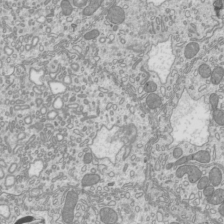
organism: Mouse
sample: Cilia; mouse epididymis